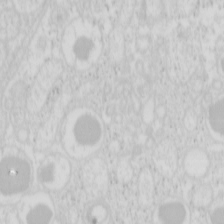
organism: Mouse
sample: Pancreas